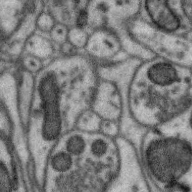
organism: Zebra finch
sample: Brain